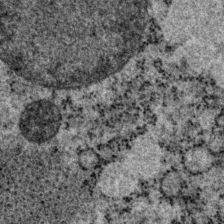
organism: P. pacificus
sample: Pharynx